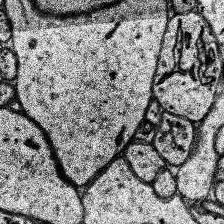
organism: Human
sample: Temporal Lobe